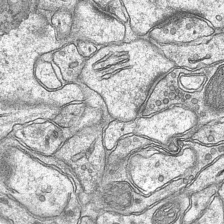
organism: Mouse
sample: CA1 Hippocampus